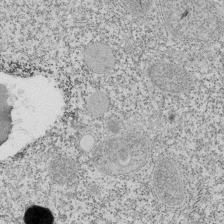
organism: Tetrahymena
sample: Cilia in tetrahymena